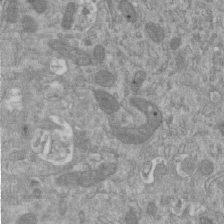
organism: Mouse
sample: ED-1 cell nuclei; centrioles